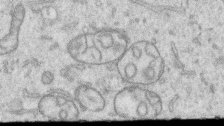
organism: Human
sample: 1205lu cells